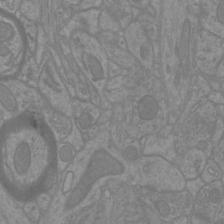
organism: Mouse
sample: Cortical neurons